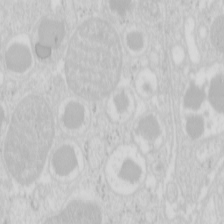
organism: Mouse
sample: Pancreas